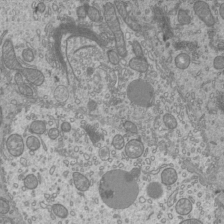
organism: Mouse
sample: Cilia; mouse epididymis